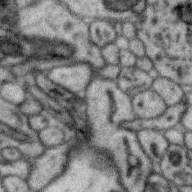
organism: Zebra finch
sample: Brain